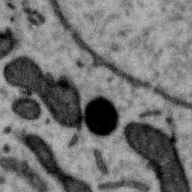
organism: Zebra finch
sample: Brain